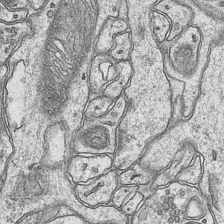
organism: Mouse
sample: CA1 Hippocampus